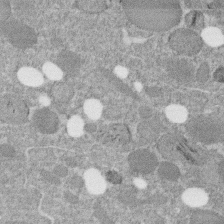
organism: C. elegans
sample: C. elegans embryo early stage